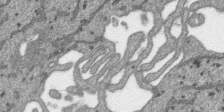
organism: Human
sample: Lung epithelial cells infected with SARS-CoV-2